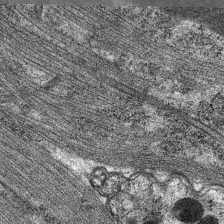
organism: C. elegans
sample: Pharynx